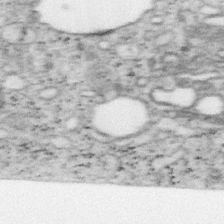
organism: Mouse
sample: OT-I killer T cells with ID8 ovarian cancer cells